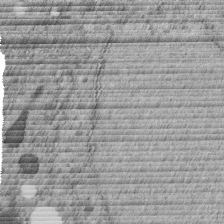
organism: C. elegans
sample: C. elegans embryo early stage